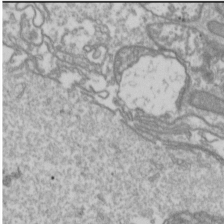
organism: Drosophila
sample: Cell division; meiosis; drosophila spermatocytes